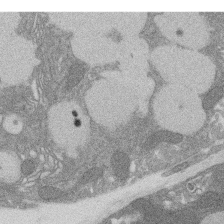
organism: Rat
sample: Salivary granule